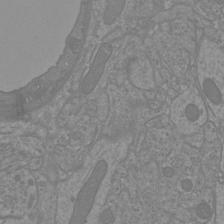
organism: Mouse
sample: Cortical neurons